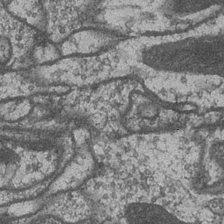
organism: Drosophila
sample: Optic medulla